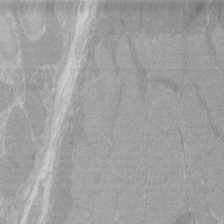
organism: C57BL Mouse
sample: Tibialis anterior muscle cell